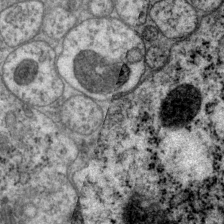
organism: P. pacificus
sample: Pharynx